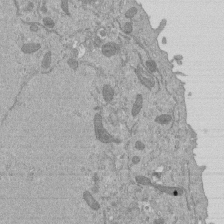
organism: Mouse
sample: ED-1 cell nuclei; centrioles